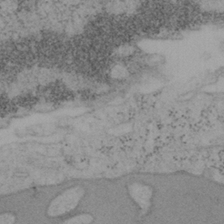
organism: Mouse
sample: OT-I killer T cells with ID8 ovarian cancer cells